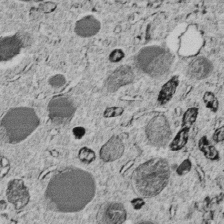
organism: C. elegans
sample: C. elegans embryo early stage